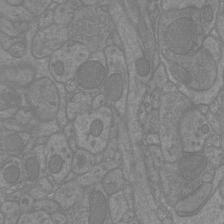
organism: Mouse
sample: Cortical neurons